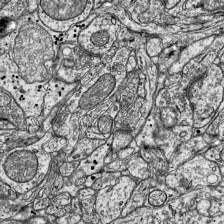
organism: Mouse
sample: Visual Cortex